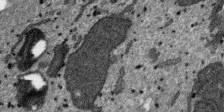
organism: Human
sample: Lung epithelial cells, uninfected (mock) control